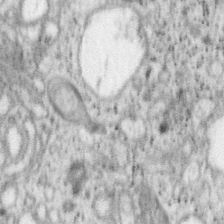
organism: Mouse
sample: OT-I killer T cells with ID8 ovarian cancer cells